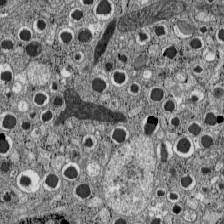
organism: C57BL Mouse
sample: Pancreatic islet